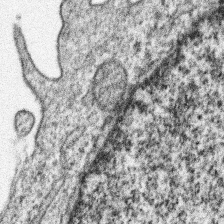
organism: Human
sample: HeLa cells